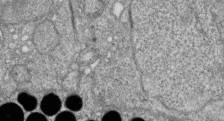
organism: Zebrafish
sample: Cilia; retinal pigment epithelium